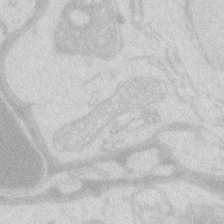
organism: Zebrafish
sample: Macrophage